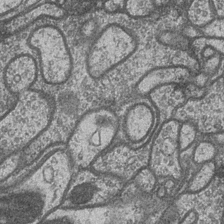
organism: Drosophila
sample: Optic medulla